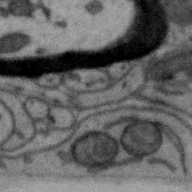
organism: Zebra finch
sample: Brain